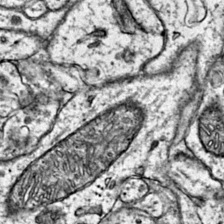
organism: Mouse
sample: Primary visual cortex